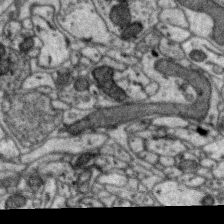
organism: Zebra finch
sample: Brain